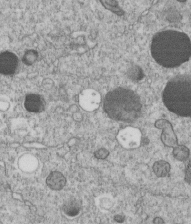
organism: C. elegans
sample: C. elegans embryo early stage